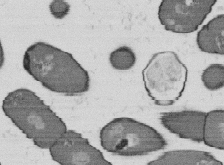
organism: B. subtilis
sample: Bacterial spore